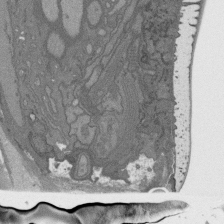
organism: C. elegans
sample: AFD neurons C. elegans